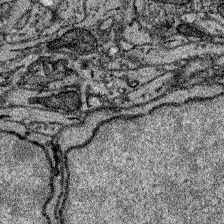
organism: Zebrafish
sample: Larval olfactory bulb